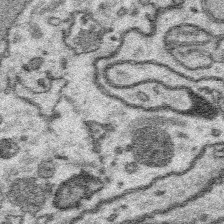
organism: Platynereis dumerilii